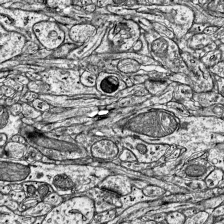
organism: Mouse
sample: Visual Cortex